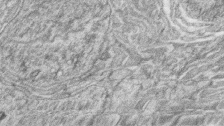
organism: Zebrafish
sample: synaptic ribbons in rod cells and cone cells